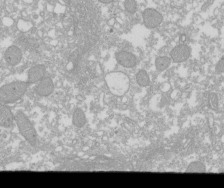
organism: Xenopus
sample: Cilia; centrioles in frog embryo cells